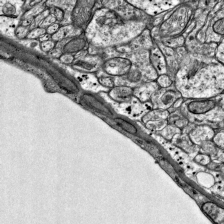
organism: Mouse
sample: Visual Cortex